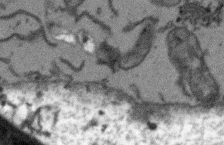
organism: Arabidopsis thaliana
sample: Root tip